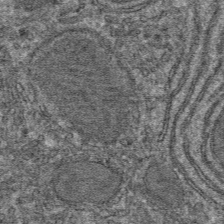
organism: Mouse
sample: Mouse hepatocytes